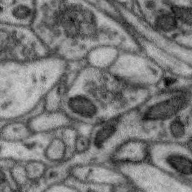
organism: Zebra finch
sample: Brain